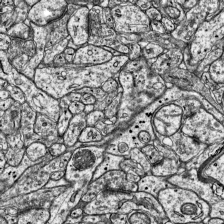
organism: Mouse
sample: Visual Cortex